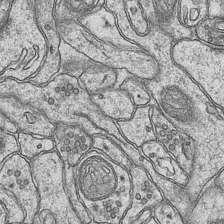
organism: Mouse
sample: CA1 Hippocampus